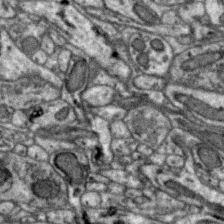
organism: Zebra finch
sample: Brain